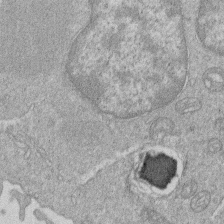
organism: Human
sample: Macrophage cells